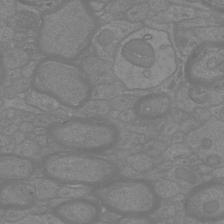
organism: Mouse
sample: Cortical neurons